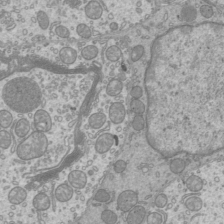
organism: Mouse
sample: Cilia; mouse epididymis